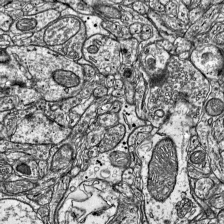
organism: Mouse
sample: Visual Cortex